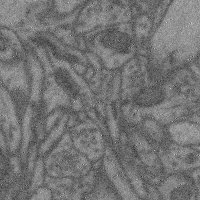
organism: Mouse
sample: Cerebral cortex